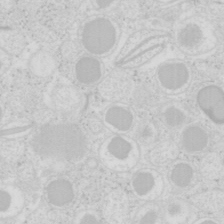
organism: Mouse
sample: Pancreas